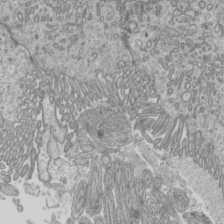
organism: Mouse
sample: Cilia; mouse epididymis